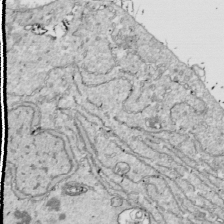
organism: Drosophila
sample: Cell division; meiosis; drosophila spermatocytes